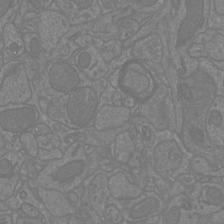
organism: Mouse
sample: Cortical neurons